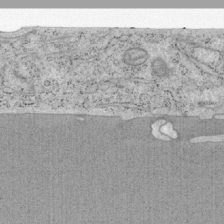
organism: Human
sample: HeLa cells